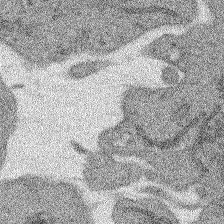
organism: Human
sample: HeLa cells